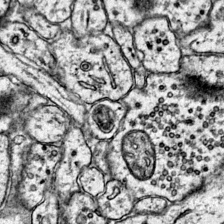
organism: Mouse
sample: Primary visual cortex